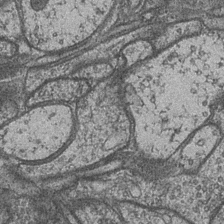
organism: Drosophila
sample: Optic medulla